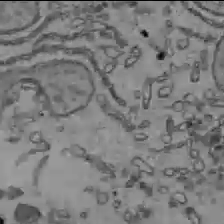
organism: C57BL Mouse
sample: Liver